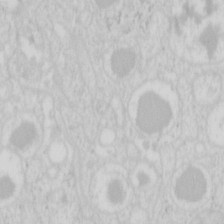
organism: Mouse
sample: Pancreas